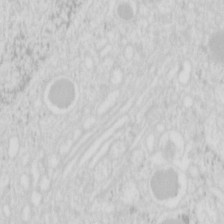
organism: Mouse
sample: Pancreas